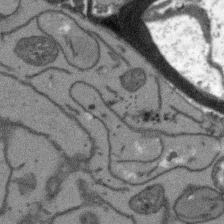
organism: Arabidopsis thaliana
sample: Root tip